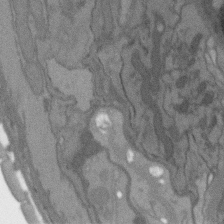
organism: C. elegans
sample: AFD neurons C. elegans